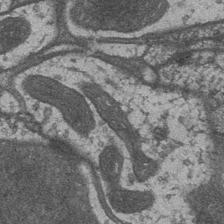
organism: Drosophila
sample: Optic medulla